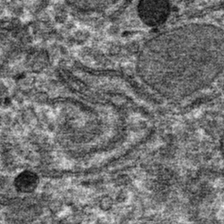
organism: Mouse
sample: Mouse hepatocytes